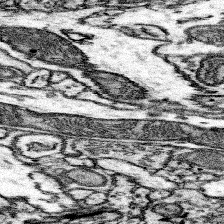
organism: Mouse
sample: Somatosensory cortex neuropil